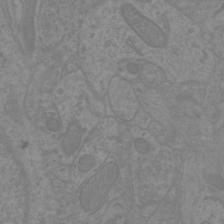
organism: Mouse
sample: Cortical neurons